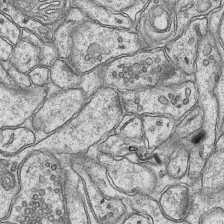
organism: Mouse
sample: CA1 Hippocampus